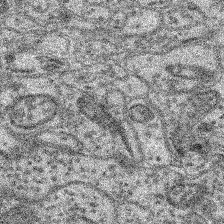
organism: Mouse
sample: Retina